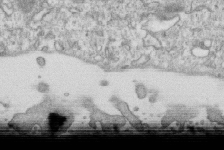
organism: Mouse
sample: Activated OT-1 CD8+ T cells